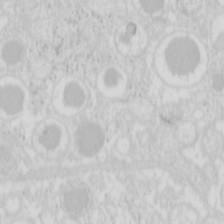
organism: Mouse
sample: Pancreas